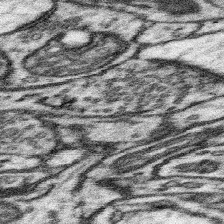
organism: Mouse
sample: Somatosensory cortex neuropil